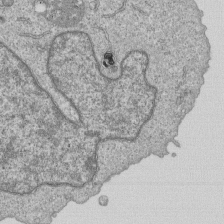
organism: Human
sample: MDA-MB-231 cells